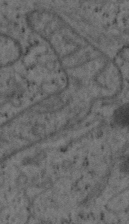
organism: Human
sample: HeLa cells